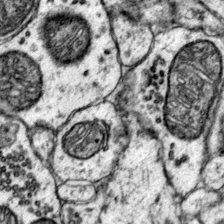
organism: Mouse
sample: Primary visual cortex